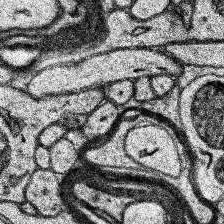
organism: Human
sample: Temporal Lobe